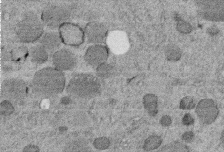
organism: C. elegans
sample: C. elegans embryo early stage